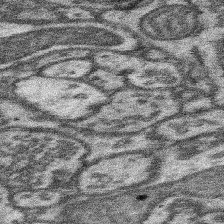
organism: Mouse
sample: Somatosensory cortex neuropil